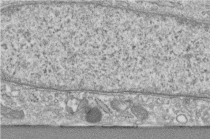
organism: Human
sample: Centriole in fibroblast cells